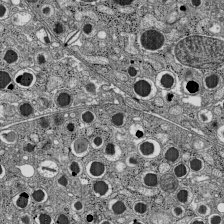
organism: C57BL Mouse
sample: Pancreatic islet